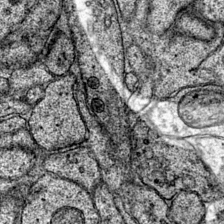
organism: Mouse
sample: Primary visual cortex